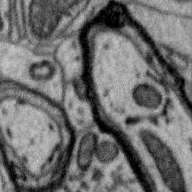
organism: Zebra finch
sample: Brain